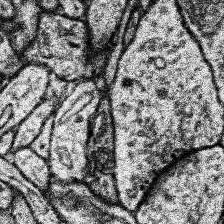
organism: Human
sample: Temporal Lobe